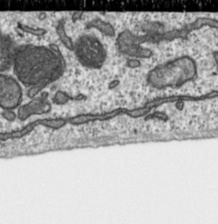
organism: Toxoplasma gondii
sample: Parasites in a vacuole inside a host cell